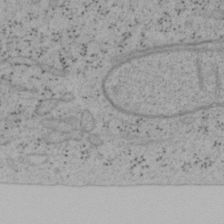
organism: Human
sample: HeLa cells